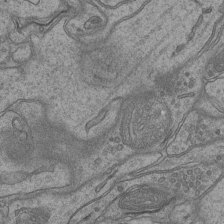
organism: Mouse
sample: CA1 Hippocampus